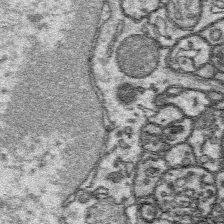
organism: Platynereis dumerilii